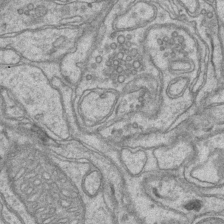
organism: Mouse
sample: CA1 Hippocampus